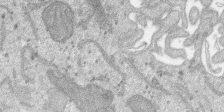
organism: Human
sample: Lung epithelial cells infected with SARS-CoV-2